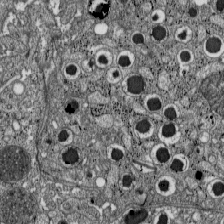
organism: C57BL Mouse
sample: Pancreatic islet